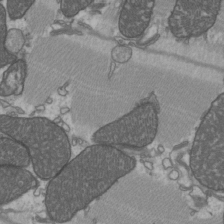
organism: C57BL Mouse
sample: Heart